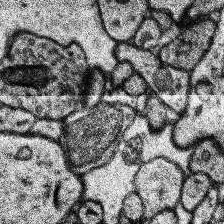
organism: Human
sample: Temporal Lobe